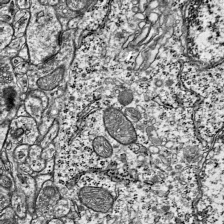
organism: Mouse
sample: Visual Cortex